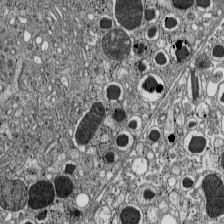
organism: C57BL Mouse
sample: Pancreatic islet